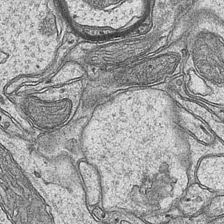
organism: Mouse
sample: CA1 Hippocampus